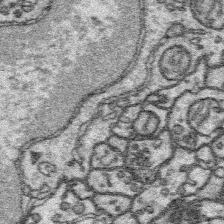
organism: Platynereis dumerilii